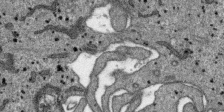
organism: Human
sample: Lung epithelial cells, uninfected (mock) control